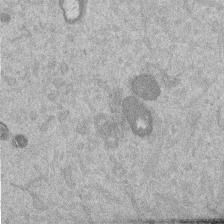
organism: Mouse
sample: Dividing mouse embryo 1 cell stage